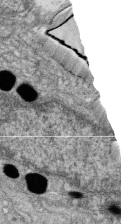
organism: Zebrafish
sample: Cilia; retinal pigment epithelium